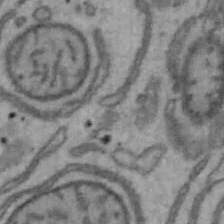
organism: Mouse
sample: Liver